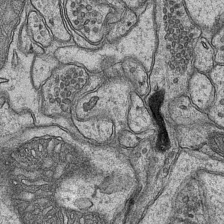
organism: Mouse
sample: CA1 Hippocampus